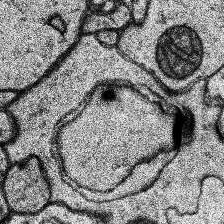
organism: Human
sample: Temporal Lobe